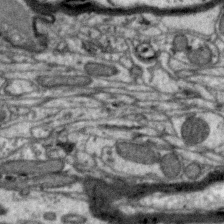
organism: Zebra finch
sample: Brain